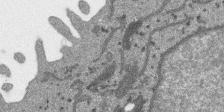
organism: Human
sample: Lung epithelial cells infected with SARS-CoV-2